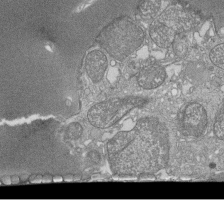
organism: Tetrahymena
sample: Cilia in tetrahymena